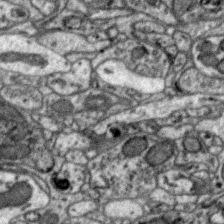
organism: Zebra finch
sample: Brain